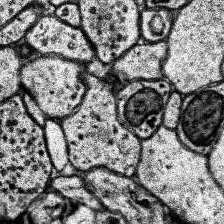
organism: Human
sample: Temporal Lobe